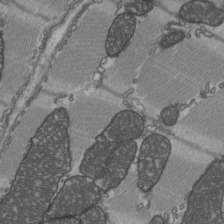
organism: C57BL Mouse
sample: Heart